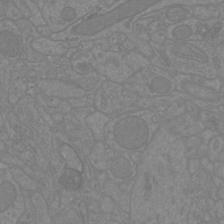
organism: Mouse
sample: Cortical neurons